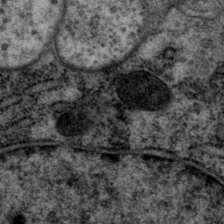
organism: P. pacificus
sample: Pharynx